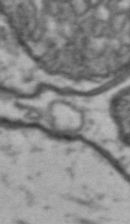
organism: Drosophila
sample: Brain